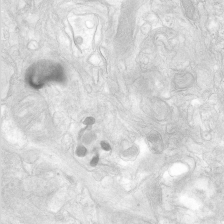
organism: Human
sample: Neocortex